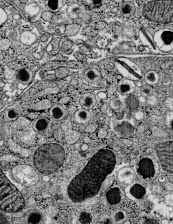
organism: C57BL Mouse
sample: Pancreatic islet